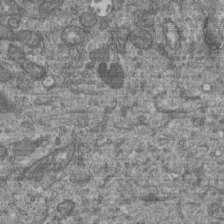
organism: Human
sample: Retinal organoid Rod and Cone cells